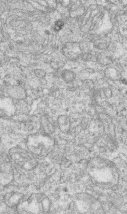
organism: Human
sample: HeLa cell HIV synapse